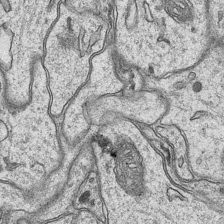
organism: Mouse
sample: CA1 Hippocampus